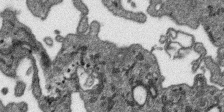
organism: Human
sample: Lung epithelial cells infected with SARS-CoV-2